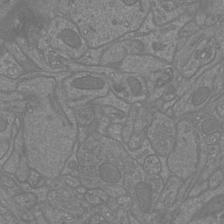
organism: Mouse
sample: Cortical neurons